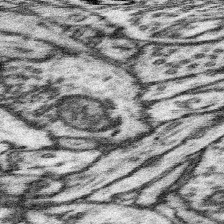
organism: Mouse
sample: Somatosensory cortex neuropil